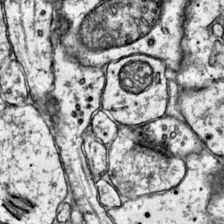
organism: Mouse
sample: Primary visual cortex